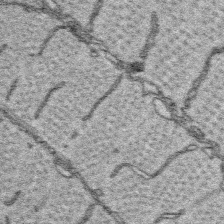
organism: Platynereis dumerilii